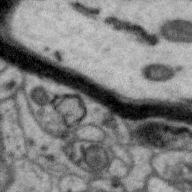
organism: Zebra finch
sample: Brain